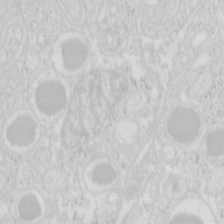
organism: Mouse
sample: Pancreas